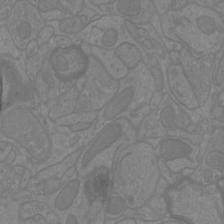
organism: Mouse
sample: Cortical neurons